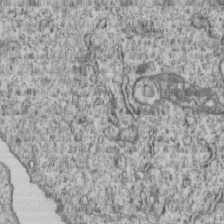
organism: Human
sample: MDA-MB-231 cells